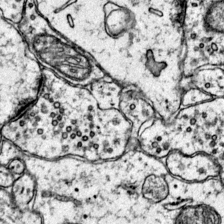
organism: Mouse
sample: Primary visual cortex